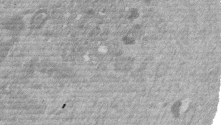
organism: Mouse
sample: Dividing mouse embryo 1 cell stage